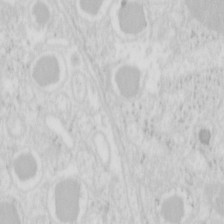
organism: Mouse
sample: Pancreas